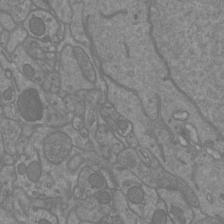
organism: Mouse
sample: Cortical neurons